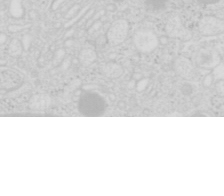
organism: Mouse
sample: Pancreas